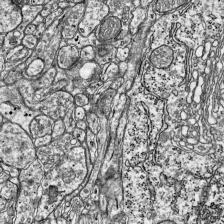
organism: Mouse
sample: Visual Cortex